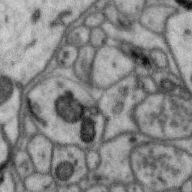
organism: Zebra finch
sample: Brain